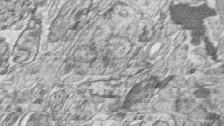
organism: Zebrafish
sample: synaptic ribbons in rod cells and cone cells